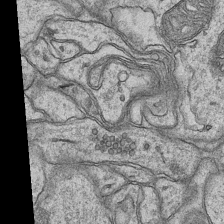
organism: Mouse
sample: CA1 Hippocampus